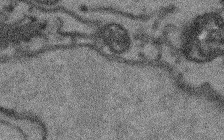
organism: Arabidopsis thaliana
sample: Root tip